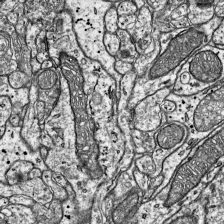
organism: Mouse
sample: Visual Cortex